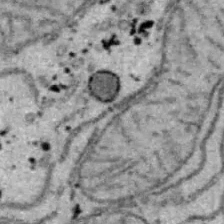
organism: Mouse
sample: Liver from an obese (ob/ob) mouse